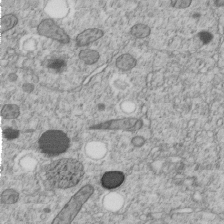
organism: C. elegans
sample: C. elegans embryo early stage